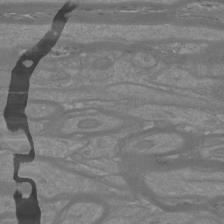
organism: Mouse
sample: Cortical neurons